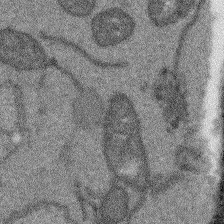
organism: Arabidopsis thaliana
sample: Root tip